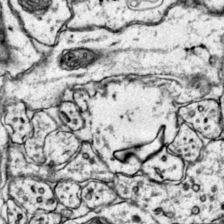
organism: Mouse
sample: Primary visual cortex